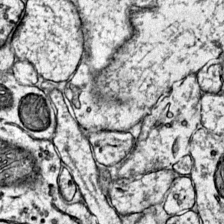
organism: Mouse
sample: Primary visual cortex